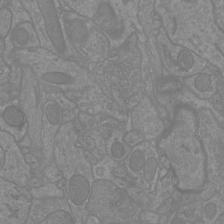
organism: Mouse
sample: Cortical neurons